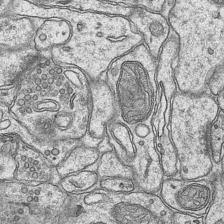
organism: Mouse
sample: CA1 Hippocampus